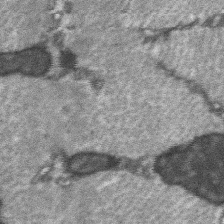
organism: C57BL Mouse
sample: Soleus